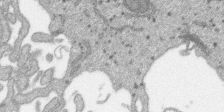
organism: Human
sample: Lung epithelial cells infected with SARS-CoV-2